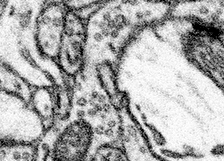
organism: Mouse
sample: Somatosensory cortex neuropil